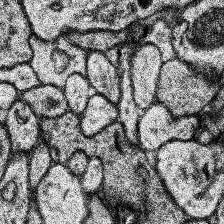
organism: Human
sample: Temporal Lobe